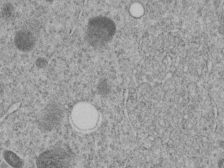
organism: C. elegans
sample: C. elegans embryo early stage